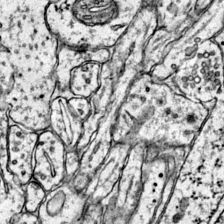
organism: Mouse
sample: Primary visual cortex